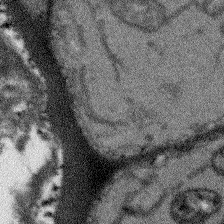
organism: Arabidopsis thaliana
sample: Root tip